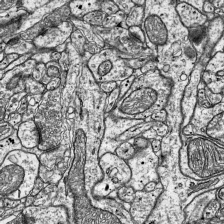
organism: Mouse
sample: Visual Cortex